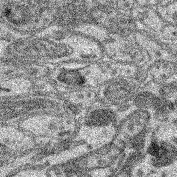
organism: Mouse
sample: Retina